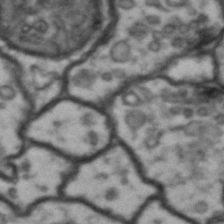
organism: Drosophila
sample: Brain